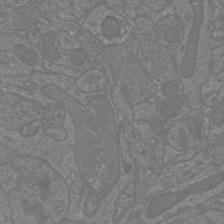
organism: Mouse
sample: Cortical neurons